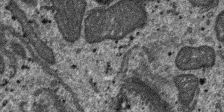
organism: Human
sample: Lung epithelial cells infected with SARS-CoV-2